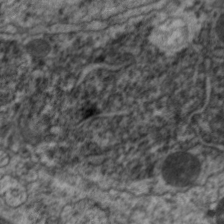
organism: C. elegans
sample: Pharynx